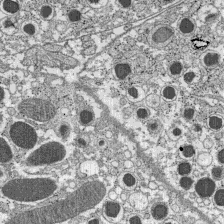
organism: C57BL Mouse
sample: Pancreatic islet